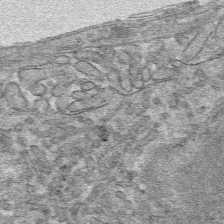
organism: Mouse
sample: Mouse hepatocytes